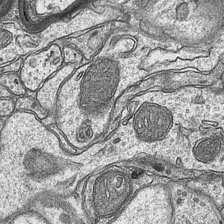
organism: Mouse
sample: CA1 Hippocampus